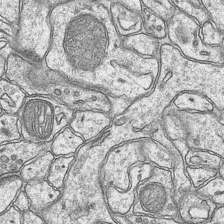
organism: Mouse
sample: CA1 Hippocampus